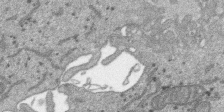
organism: Human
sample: Lung epithelial cells infected with SARS-CoV-2